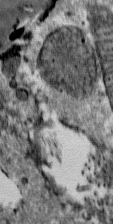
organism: Mouse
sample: Mouse Salivary gland